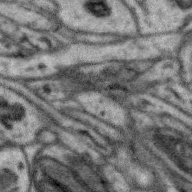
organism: Zebra finch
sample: Brain